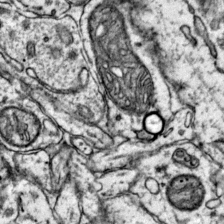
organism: Mouse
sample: Primary visual cortex